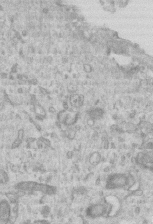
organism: Mouse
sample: Centriole in ependymal cells